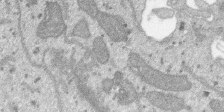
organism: Human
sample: Lung epithelial cells infected with SARS-CoV-2